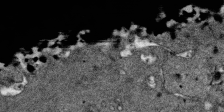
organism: Human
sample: Lung epithelial cells, uninfected (mock) control